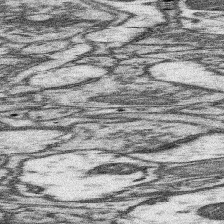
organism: Mouse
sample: Somatosensory cortex neuropil